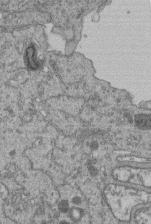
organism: Human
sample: Retinal organoid Rod and Cone cells